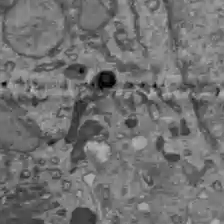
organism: C57BL Mouse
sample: Liver